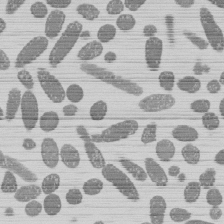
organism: E. coli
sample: Bacterial nucleoid